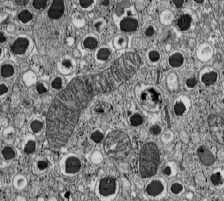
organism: C57BL Mouse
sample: Pancreatic islet